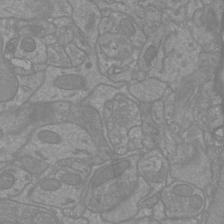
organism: Mouse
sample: Cortical neurons